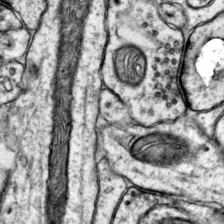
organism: Mouse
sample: Primary visual cortex